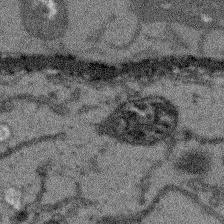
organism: Arabidopsis thaliana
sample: Root tip